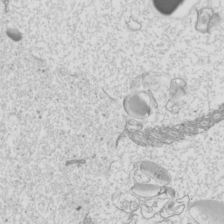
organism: Mouse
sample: Cilia; mouse epididymis